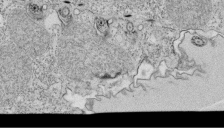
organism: Tetrahymena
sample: Cilia in tetrahymena